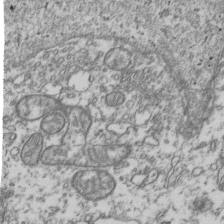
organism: Human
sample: Activated Jurkat CD4+ T cells